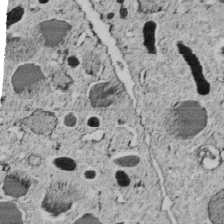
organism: C. elegans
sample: C. elegans embryo early stage